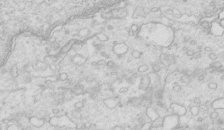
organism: Mouse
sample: Multiciliated cells